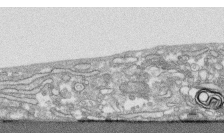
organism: Human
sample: CRL-1474